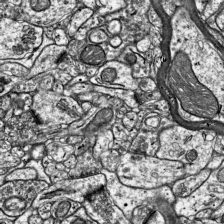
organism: Mouse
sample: Visual Cortex